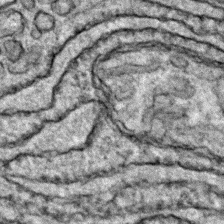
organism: Zebrafish